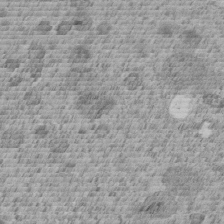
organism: C. elegans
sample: C. elegans embryo early stage